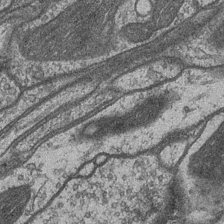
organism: Drosophila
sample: Optic medulla